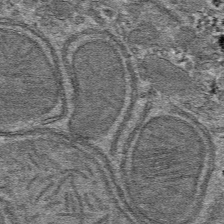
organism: Mouse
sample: Mouse hepatocytes